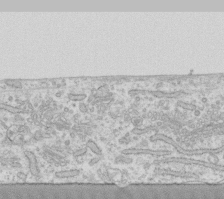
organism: Human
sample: Fibroblast cells